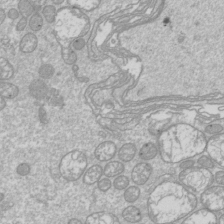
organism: Drosophila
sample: Cell division; meiosis; drosophila spermatocytes